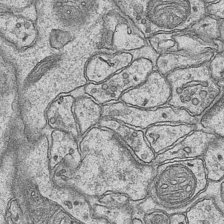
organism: Mouse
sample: CA1 Hippocampus